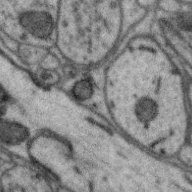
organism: Zebra finch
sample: Brain